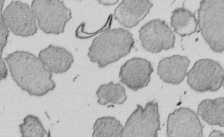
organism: E. coli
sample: Bacterial nucleoid